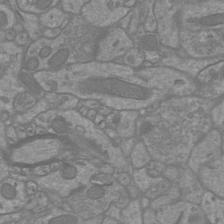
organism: Mouse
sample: Cortical neurons